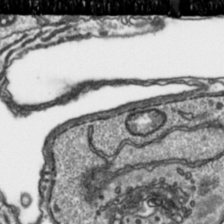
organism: Toxoplasma gondii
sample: Parasites in a vacuole inside a host cell